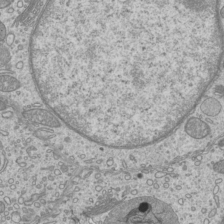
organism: Mouse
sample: Cilia; mouse epididymis